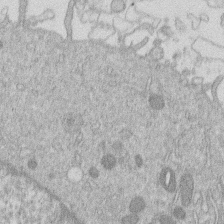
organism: Human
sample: Macrophage cells